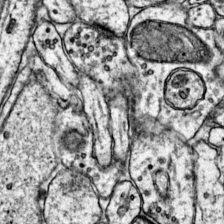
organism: Mouse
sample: Primary visual cortex